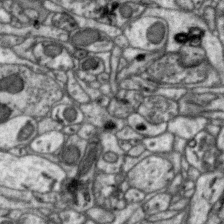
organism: Zebra finch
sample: Brain